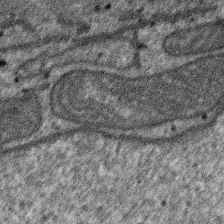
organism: Human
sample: Lung epithelial cells infected with SARS-CoV-2